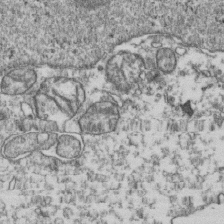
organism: Human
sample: Activated Jurkat CD4+ T cells